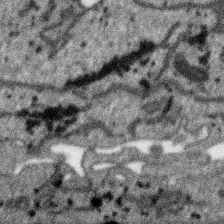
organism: Human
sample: Lung epithelial cells infected with SARS-CoV-2